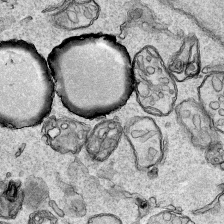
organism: Human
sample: Mitochondria in HCT116 cells